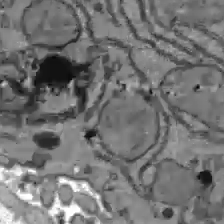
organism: C57BL Mouse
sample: Liver